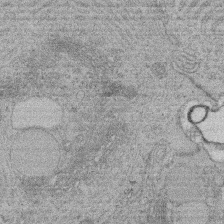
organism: Rat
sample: Salivary granule